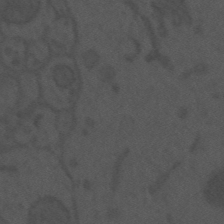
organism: Mouse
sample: Suprachiasmatic nucleus